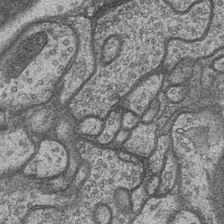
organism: Drosophila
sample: Optic medulla